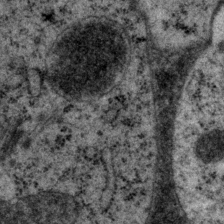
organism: P. pacificus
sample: Pharynx